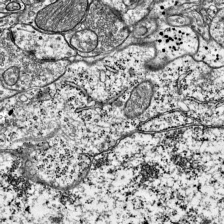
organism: Mouse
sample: Visual Cortex